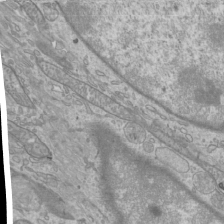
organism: Mouse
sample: Cilia; mouse epididymis